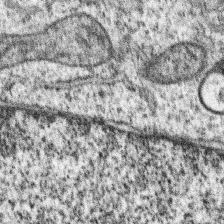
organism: Human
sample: HeLa cells